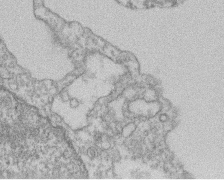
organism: Mouse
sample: T cell stromal cell synapse